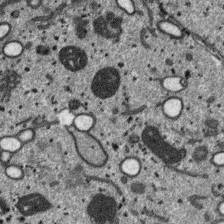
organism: Human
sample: Lung epithelial cells infected with SARS-CoV-2